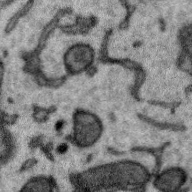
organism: Zebra finch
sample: Brain